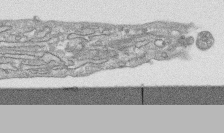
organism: Human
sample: CRL-1474